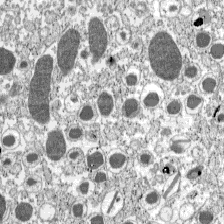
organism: C57BL Mouse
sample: Pancreatic islet